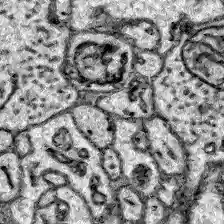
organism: Zebrafish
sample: Brain